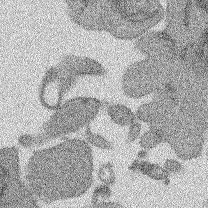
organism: Human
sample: HeLa cells